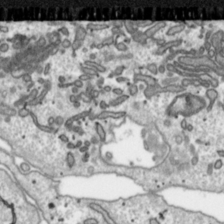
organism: Toxoplasma gondii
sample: Parasites in a vacuole inside a host cell